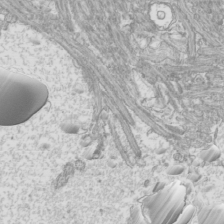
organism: Mouse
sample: Cilia; mouse epididymis